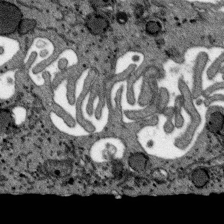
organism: Human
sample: Lung epithelial cells, uninfected (mock) control